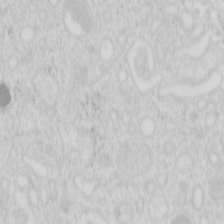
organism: Mouse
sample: Pancreas